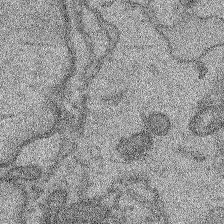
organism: Human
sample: HeLa cells